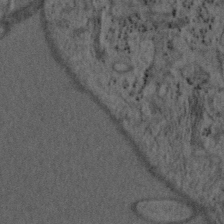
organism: Human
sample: HeLa cells